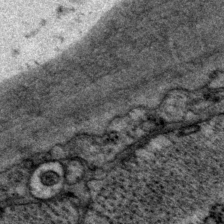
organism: P. pacificus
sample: Pharynx